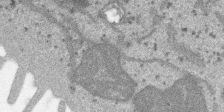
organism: Human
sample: Lung epithelial cells infected with SARS-CoV-2